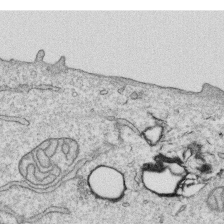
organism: Human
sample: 1205lu cells